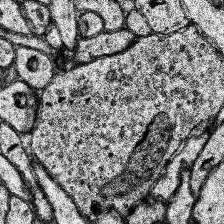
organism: Human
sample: Temporal Lobe